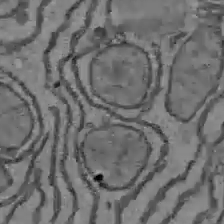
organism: C57BL Mouse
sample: Liver